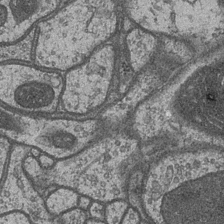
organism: Drosophila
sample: Optic medulla